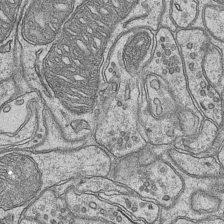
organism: Mouse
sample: CA1 Hippocampus